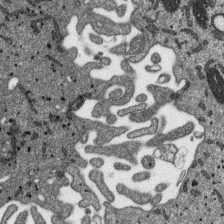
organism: Human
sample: Lung epithelial cells infected with SARS-CoV-2